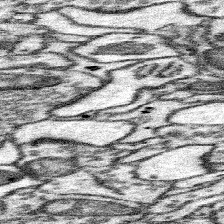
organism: Mouse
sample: Somatosensory cortex neuropil